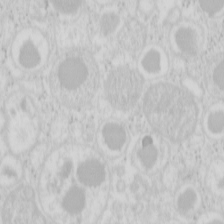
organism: Mouse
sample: Pancreas